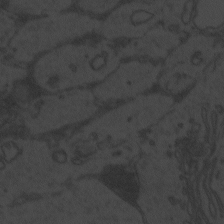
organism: Zebrafish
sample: Macrophage infected with Toxoplasma gondii